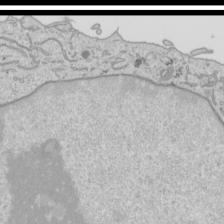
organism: Human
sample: Mitochondria in HCT116 cells